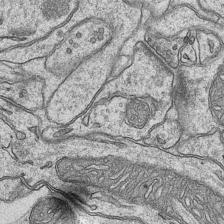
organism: Mouse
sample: CA1 Hippocampus